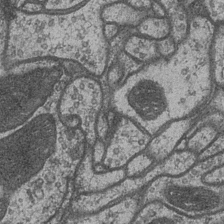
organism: Drosophila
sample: Optic medulla